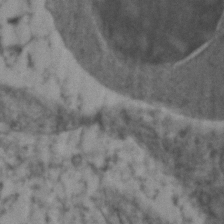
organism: Zebrafish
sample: Zebrafish embryo